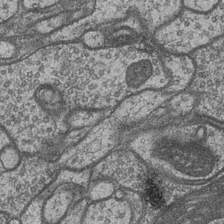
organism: Drosophila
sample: Optic medulla